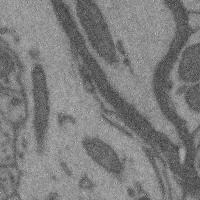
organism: Mouse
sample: Cerebral cortex